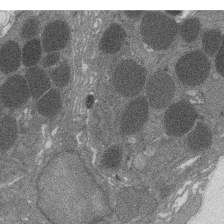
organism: Rat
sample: Salivary granule